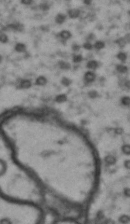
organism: Drosophila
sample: Brain